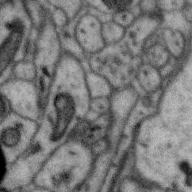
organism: Zebra finch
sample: Brain